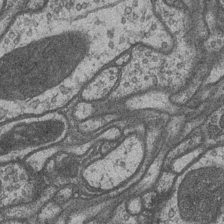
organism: Drosophila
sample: Optic medulla